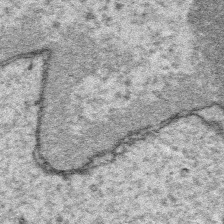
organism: Platynereis dumerilii